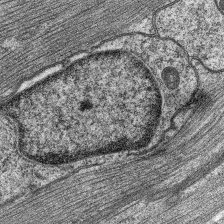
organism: C. elegans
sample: Pharynx